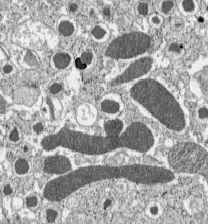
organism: C57BL Mouse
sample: Pancreatic islet